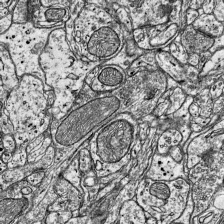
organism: Mouse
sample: Visual Cortex